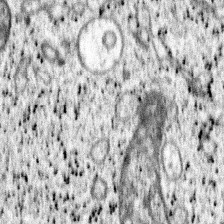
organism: Human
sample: HeLa cells